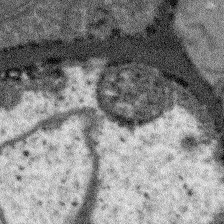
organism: Arabidopsis thaliana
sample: Root tip